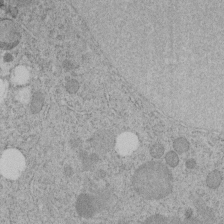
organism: C. elegans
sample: C. elegans embryo early stage